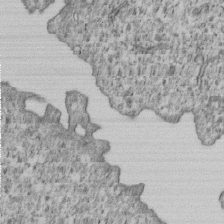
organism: Human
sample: MDA-MB-231 cells